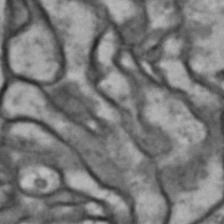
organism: Drosophila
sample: Brain